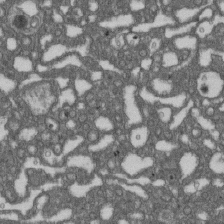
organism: Drosophila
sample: Nephrocyte